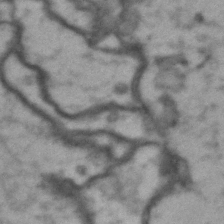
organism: Drosophila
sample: Brain